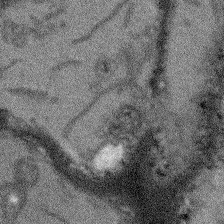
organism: Arabidopsis thaliana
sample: Root tip